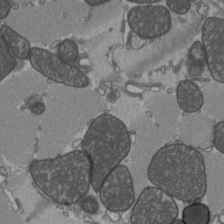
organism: C57BL Mouse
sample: Heart